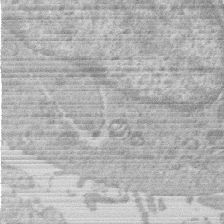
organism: Human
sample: Macrophage cells